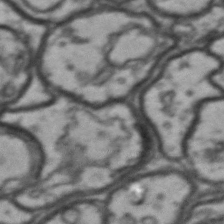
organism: Drosophila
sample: Brain